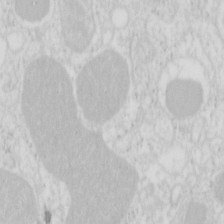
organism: Mouse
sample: Pancreas